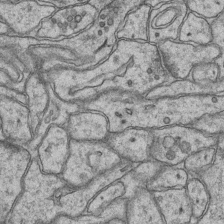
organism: Mouse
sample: CA1 Hippocampus